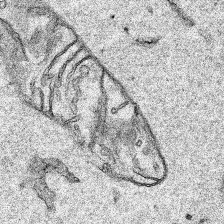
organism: Human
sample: Mitochondria in HCT116 cells